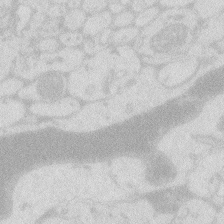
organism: Zebrafish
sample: Macrophage